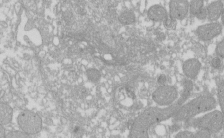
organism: Xenopus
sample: Cilia; centrioles in frog embryo cells